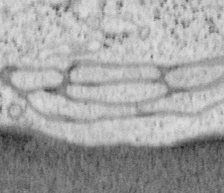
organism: Mouse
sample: OT-I killer T cells with ID8 ovarian cancer cells